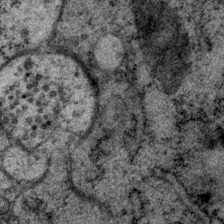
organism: P. pacificus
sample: Pharynx